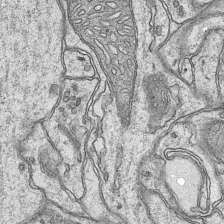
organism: Mouse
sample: CA1 Hippocampus